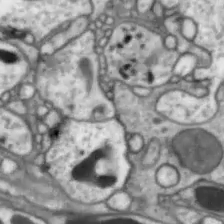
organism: Drosophila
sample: Optic lobe